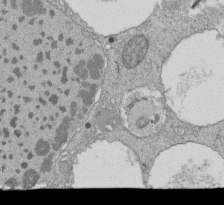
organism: Tetrahymena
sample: Cilia in tetrahymena